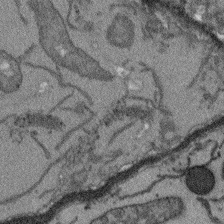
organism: Arabidopsis thaliana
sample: Root tip